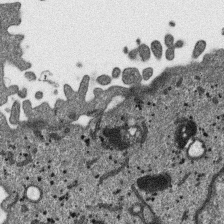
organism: Human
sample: Lung epithelial cells infected with SARS-CoV-2